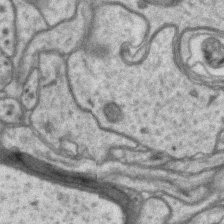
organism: Mouse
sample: CA1 Hippocampus